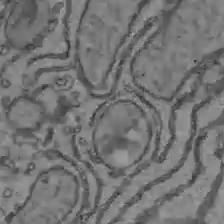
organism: C57BL Mouse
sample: Liver